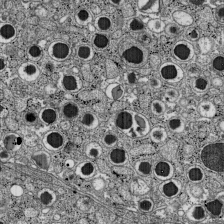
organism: C57BL Mouse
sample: Pancreatic islet